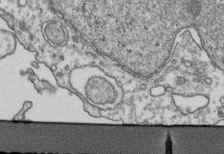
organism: Human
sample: Activated Jurkat CD4+ T cells